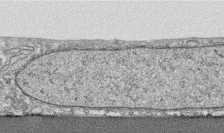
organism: Human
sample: CRL-1474